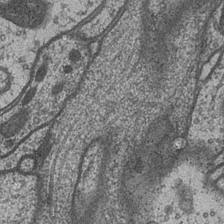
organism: Drosophila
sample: Optic medulla